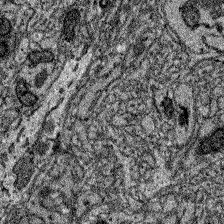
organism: Zebrafish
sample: Larval olfactory bulb